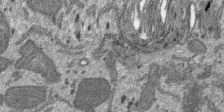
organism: Human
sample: Lung epithelial cells infected with SARS-CoV-2